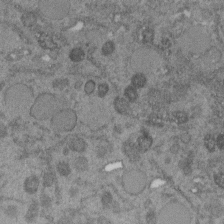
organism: C. elegans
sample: C. elegans embryo early stage